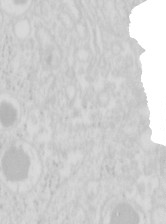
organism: Mouse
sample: Pancreas